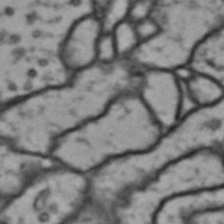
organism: Drosophila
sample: Brain